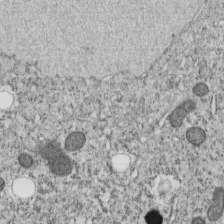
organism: C. elegans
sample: C. elegans embryo early stage